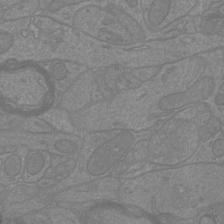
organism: Mouse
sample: Cortical neurons